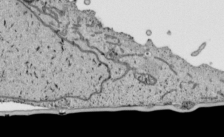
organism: Human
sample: Mitochondria in HCT116 cells